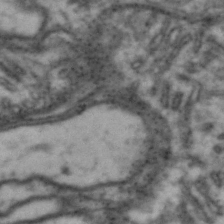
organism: Drosophila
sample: Brain